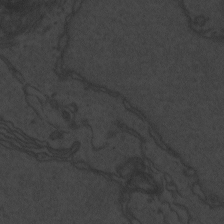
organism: Zebrafish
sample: Macrophage infected with Toxoplasma gondii